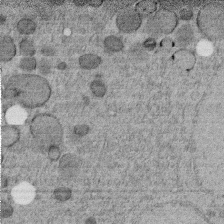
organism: C. elegans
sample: C. elegans embryo early stage